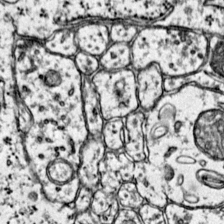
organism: Mouse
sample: Primary visual cortex